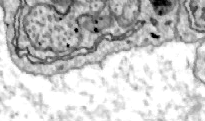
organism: Zebrafish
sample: Actinotrichia fibers